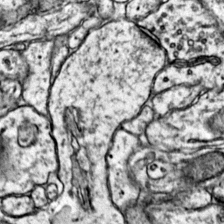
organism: Mouse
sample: Primary visual cortex